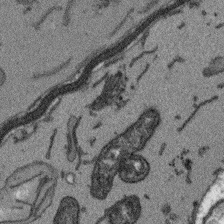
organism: Arabidopsis thaliana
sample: Root tip